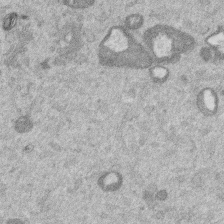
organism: Mouse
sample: Dividing mouse embryo 1 cell stage